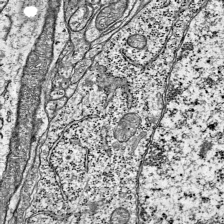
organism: Mouse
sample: Visual Cortex